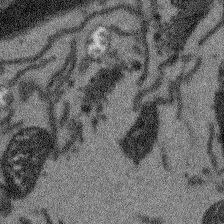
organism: Arabidopsis thaliana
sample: Root tip